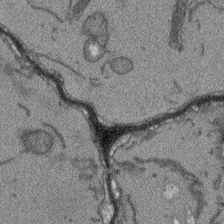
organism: Arabidopsis thaliana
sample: Root tip